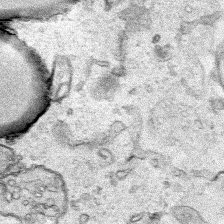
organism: Human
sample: Mitochondria in HCT116 cells